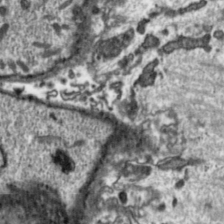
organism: Toxoplasma gondii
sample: Parasites in a vacuole inside a host cell